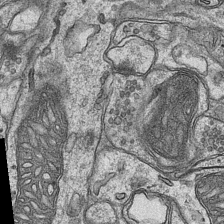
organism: Mouse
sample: CA1 Hippocampus